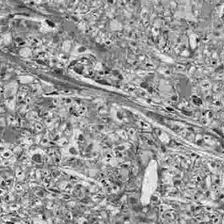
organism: Drosophila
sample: Optic lobe